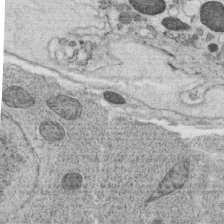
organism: C. elegans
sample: C. elegans oocyte; sperm cells